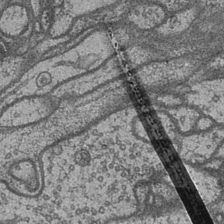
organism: Drosophila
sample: Optic medulla